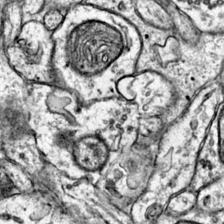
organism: Mouse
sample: Primary visual cortex